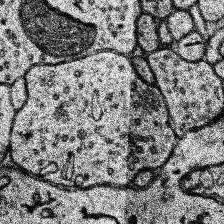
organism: Human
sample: Temporal Lobe